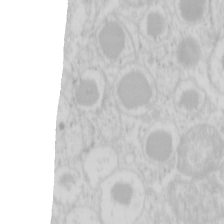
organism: Mouse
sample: Pancreas